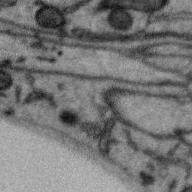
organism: Zebra finch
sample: Brain